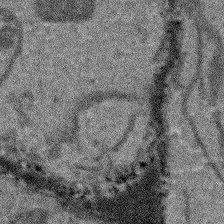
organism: Arabidopsis thaliana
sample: Root tip